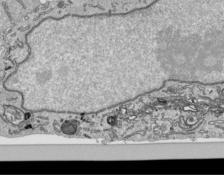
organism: Human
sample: Mitochondria in HCT116 cells